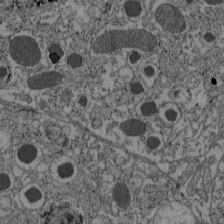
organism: C57BL Mouse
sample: Pancreatic islet